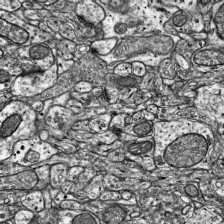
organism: Mouse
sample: Visual Cortex